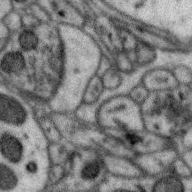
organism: Zebra finch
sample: Brain